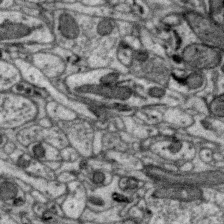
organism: Zebra finch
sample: Brain